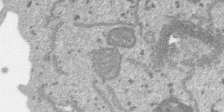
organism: Human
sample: Lung epithelial cells infected with SARS-CoV-2